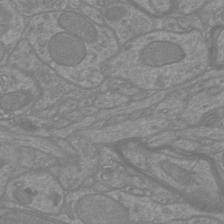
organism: Mouse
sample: Cortical neurons